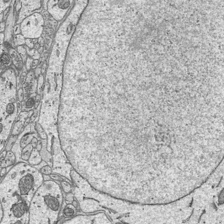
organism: Mouse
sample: Suprachiasmatic nucleus